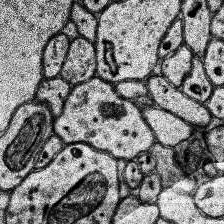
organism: Human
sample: Temporal Lobe